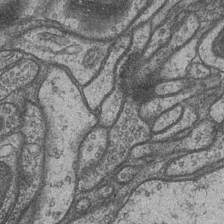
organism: Drosophila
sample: Optic medulla